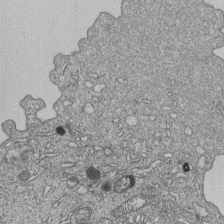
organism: Human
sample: MDA-MB-231 cells